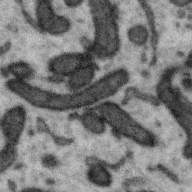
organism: Zebra finch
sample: Brain